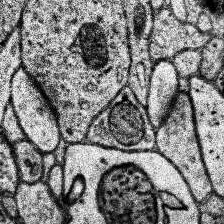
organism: Human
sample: Temporal Lobe